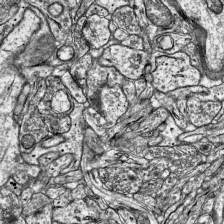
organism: Mouse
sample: Visual Cortex